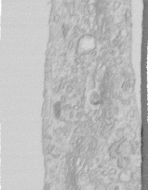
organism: Human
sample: Centriole in RPE cells